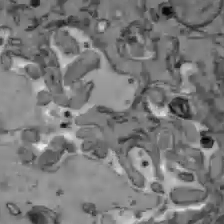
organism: C57BL Mouse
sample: Liver